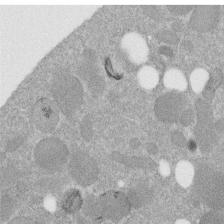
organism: C. elegans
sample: C. elegans embryo early stage